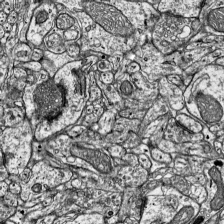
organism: Mouse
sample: Visual Cortex